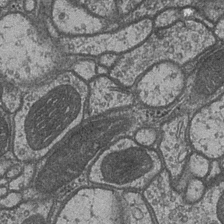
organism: Drosophila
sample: Optic medulla